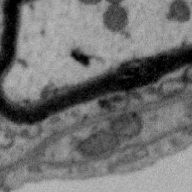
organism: Zebra finch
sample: Brain